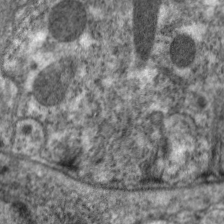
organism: C. elegans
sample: Pharynx